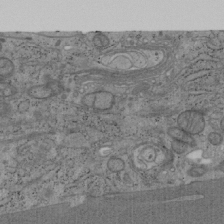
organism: Human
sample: HeLa cells